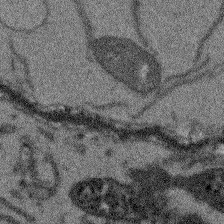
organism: Arabidopsis thaliana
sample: Root tip